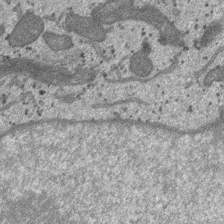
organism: Human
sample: Lung epithelial cells infected with SARS-CoV-2